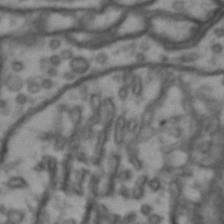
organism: Drosophila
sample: Brain